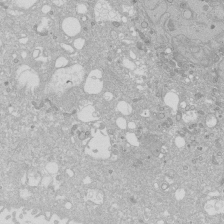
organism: Human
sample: Caco-2 cells